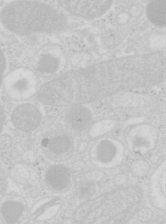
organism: Mouse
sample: Pancreas